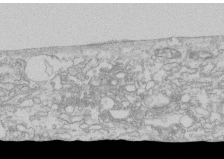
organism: Human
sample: CRL-1474